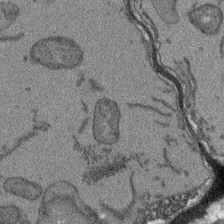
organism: Arabidopsis thaliana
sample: Root tip